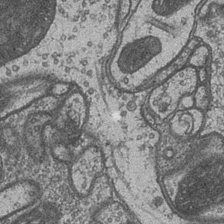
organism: Drosophila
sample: Optic medulla